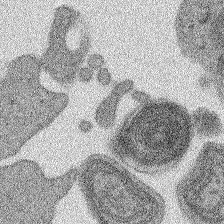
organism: Human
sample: HeLa cells